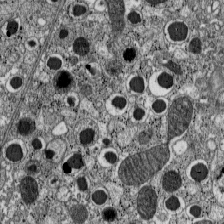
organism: C57BL Mouse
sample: Pancreatic islet